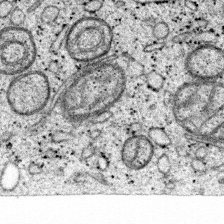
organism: Human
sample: HeLa cells